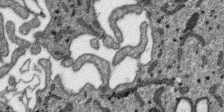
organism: Human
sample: Lung epithelial cells infected with SARS-CoV-2